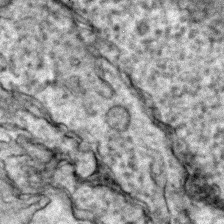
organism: Zebrafish